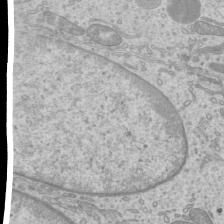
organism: Mouse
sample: Cilia; mouse epididymis